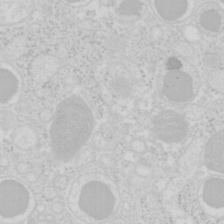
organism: Mouse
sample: Pancreas